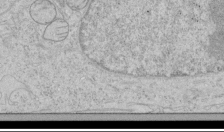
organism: Human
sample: Mitochondria in HCT116 cells